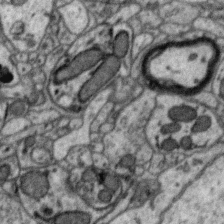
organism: Zebra finch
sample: Brain